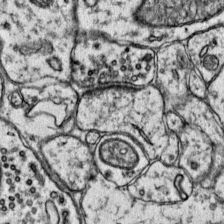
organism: Mouse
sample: Primary visual cortex